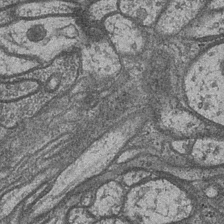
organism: Drosophila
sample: Optic medulla